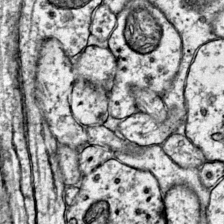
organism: Mouse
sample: Primary visual cortex